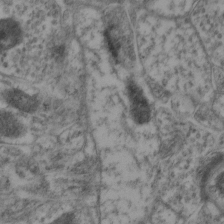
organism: Mouse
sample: Neocortex